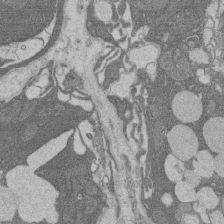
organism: Rat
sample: Salivary granule